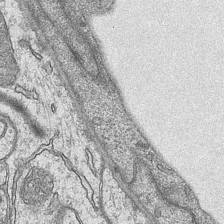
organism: Mouse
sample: CA1 Hippocampus